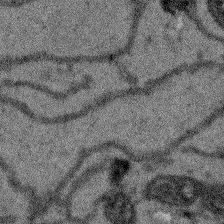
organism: Arabidopsis thaliana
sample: Root tip